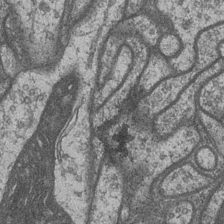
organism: Drosophila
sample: Optic medulla